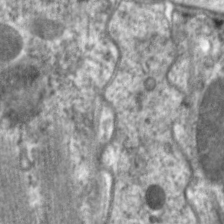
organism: C. elegans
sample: Pharynx